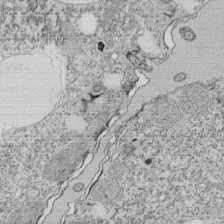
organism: Tetrahymena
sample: Cilia in tetrahymena